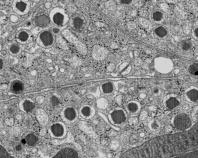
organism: C57BL Mouse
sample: Pancreatic islet